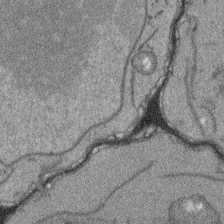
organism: Arabidopsis thaliana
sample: Root tip